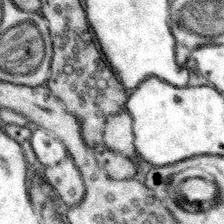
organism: Mouse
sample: Somatosensory cortex neuropil